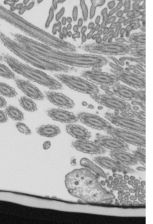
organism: Mouse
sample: Mouse epididymis efferent ductule cilia